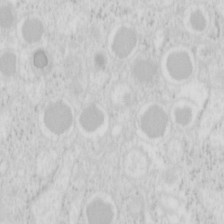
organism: Mouse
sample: Pancreas